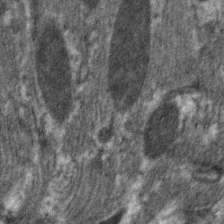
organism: C. elegans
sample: Pharynx